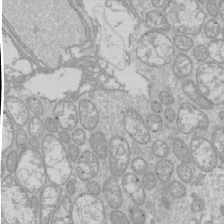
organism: Drosophila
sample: Cell division; meiosis; drosophila spermatocytes